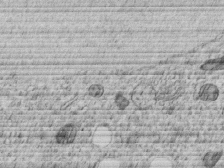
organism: C. elegans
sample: C. elegans embryo early stage